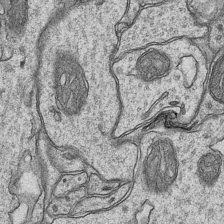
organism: Mouse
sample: CA1 Hippocampus